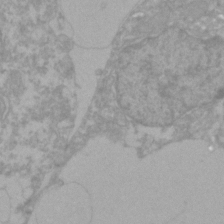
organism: Zebrafish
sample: Zebrafish embryo